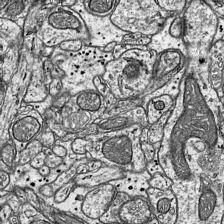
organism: Mouse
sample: Visual Cortex